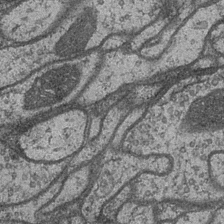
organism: Drosophila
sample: Optic medulla